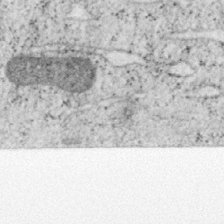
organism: Mouse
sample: OT-I killer T cells with ID8 ovarian cancer cells